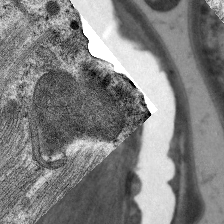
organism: C. elegans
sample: Pharynx